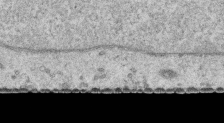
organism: Human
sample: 1205lu cells